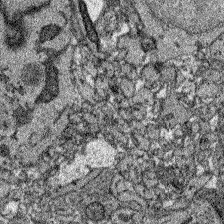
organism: Zebrafish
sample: Larval olfactory bulb